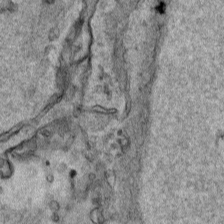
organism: Human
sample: Mitochondria in HCT116 cells